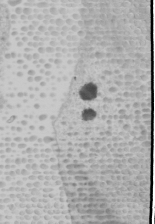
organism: Human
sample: Mitochondria in U2OS cells